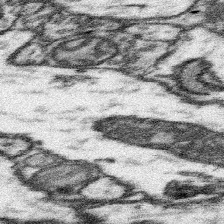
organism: Mouse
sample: Somatosensory cortex neuropil